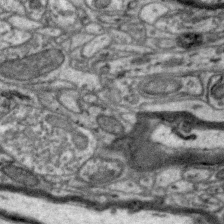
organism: Zebra finch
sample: Brain